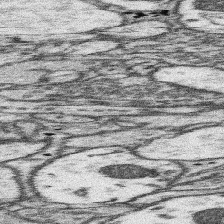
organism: Mouse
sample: Somatosensory cortex neuropil